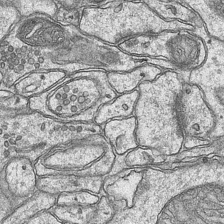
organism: Mouse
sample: CA1 Hippocampus